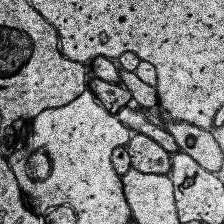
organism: Human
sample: Temporal Lobe